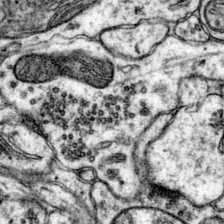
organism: Mouse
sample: Primary visual cortex